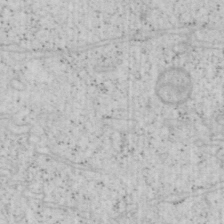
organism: Human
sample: HeLa cells